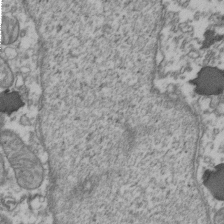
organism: Human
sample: Activated Jurkat CD4+ T cells